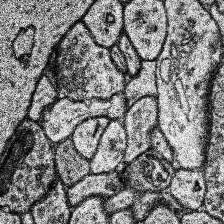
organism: Human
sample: Temporal Lobe